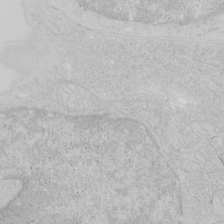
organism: Human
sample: Mitochondria in HCT116 cells